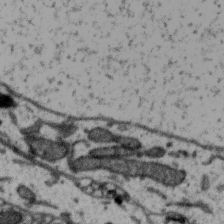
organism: Zebra finch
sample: Brain